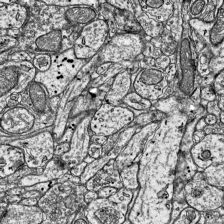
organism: Mouse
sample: Visual Cortex